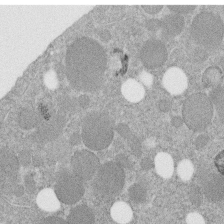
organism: C. elegans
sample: C. elegans embryo early stage